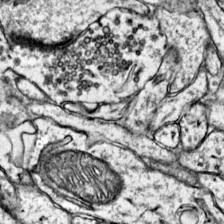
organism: Mouse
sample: Primary visual cortex